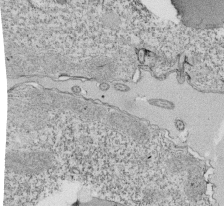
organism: Tetrahymena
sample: Cilia in tetrahymena